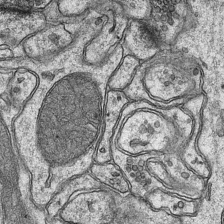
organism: Mouse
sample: CA1 Hippocampus